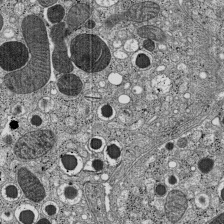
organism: C57BL Mouse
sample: Pancreatic islet